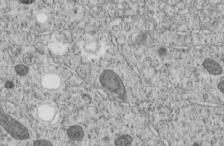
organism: C. elegans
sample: C. elegans embryo early stage